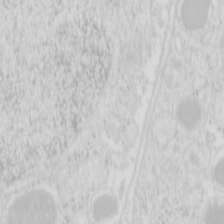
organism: Mouse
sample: Pancreas